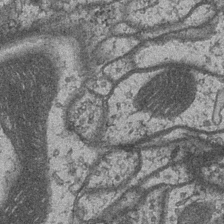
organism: Drosophila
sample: Optic medulla